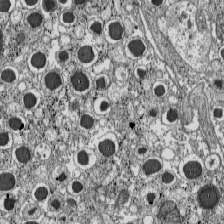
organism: C57BL Mouse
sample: Pancreatic islet